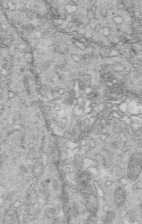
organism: Mouse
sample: Multiciliated cells